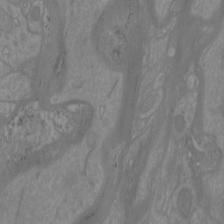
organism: Mouse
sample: Cortical neurons